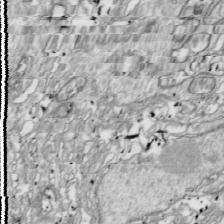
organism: Drosophila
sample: Cell division; meiosis; drosophila spermatocytes